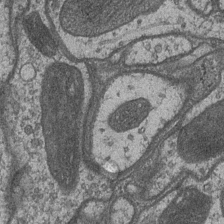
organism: Drosophila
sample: Optic medulla